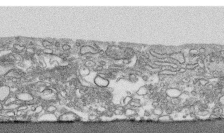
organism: Human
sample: CRL-1474